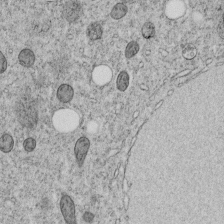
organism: C. elegans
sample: C. elegans embryo early stage